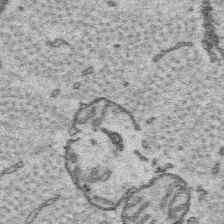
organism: Platynereis dumerilii